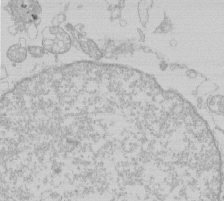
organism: Human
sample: Macrophage cells